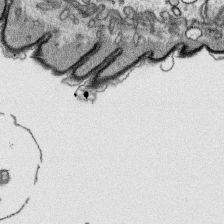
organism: Platynereis dumerilii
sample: Parapodia